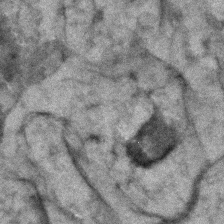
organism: Zebrafish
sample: Zebrafish embryo